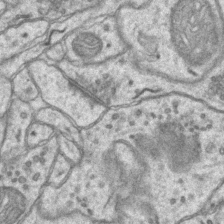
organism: Mouse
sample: CA1 Hippocampus